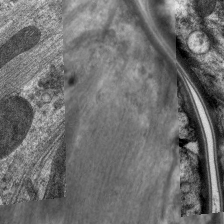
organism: C. elegans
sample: Pharynx